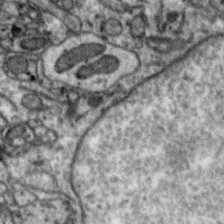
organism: Zebra finch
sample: Brain